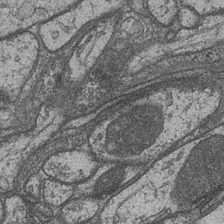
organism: Drosophila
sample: Optic medulla